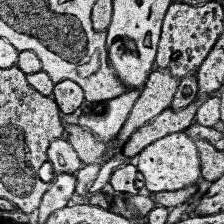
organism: Human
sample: Temporal Lobe